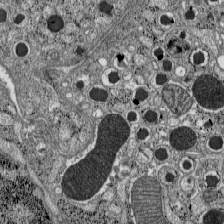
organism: C57BL Mouse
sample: Pancreatic islet